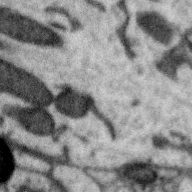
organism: Zebra finch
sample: Brain